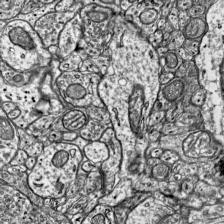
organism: Mouse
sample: Visual Cortex